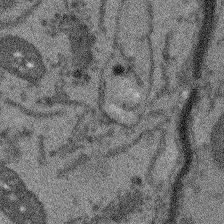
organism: Arabidopsis thaliana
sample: Root tip